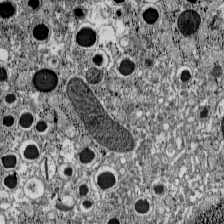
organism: C57BL Mouse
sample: Pancreatic islet